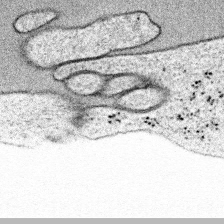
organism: Human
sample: HeLa cells